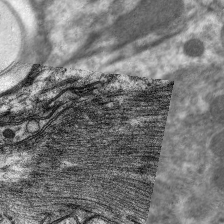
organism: C. elegans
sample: Pharynx